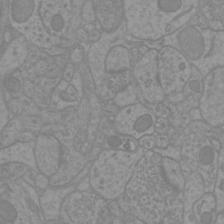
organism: Mouse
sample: Cortical neurons